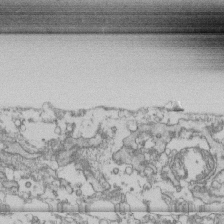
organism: Human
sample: Fibroblast cells